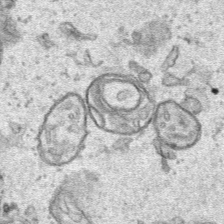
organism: Human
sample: Mitochondria in HCT116 cells